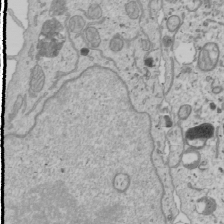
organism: Human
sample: Mitochondria in U2OS cells